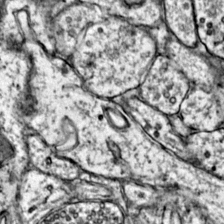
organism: Mouse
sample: Primary visual cortex